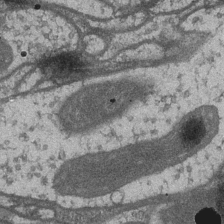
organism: Drosophila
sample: Optic medulla